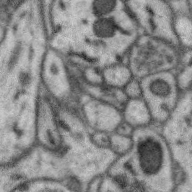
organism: Zebra finch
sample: Brain